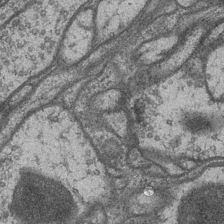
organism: Drosophila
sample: Optic medulla